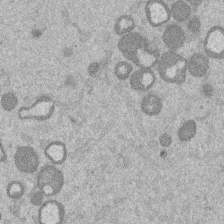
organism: Mouse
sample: Dividing mouse embryo 1 cell stage